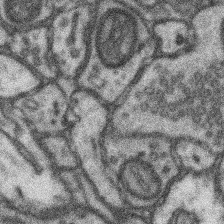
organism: Mouse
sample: Somatosensory cortex neuropil